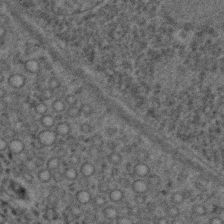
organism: C. elegans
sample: C. elegans embryo